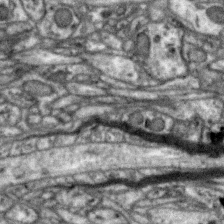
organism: Zebra finch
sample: Brain